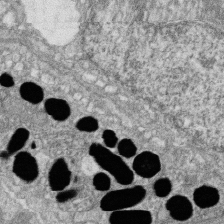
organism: Zebrafish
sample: Cilia; retinal pigment epithelium